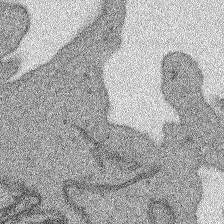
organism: Human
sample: HeLa cells